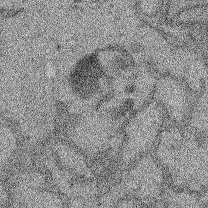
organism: Human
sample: HeLa cells